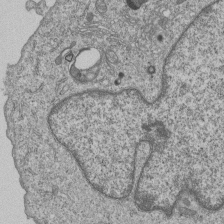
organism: Human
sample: MDA-MB-231 cells